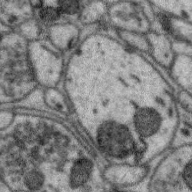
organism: Zebra finch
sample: Brain